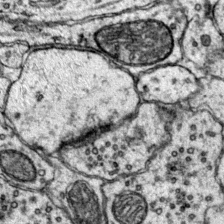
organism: Mouse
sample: Primary visual cortex